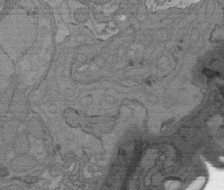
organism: C. elegans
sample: AFD neurons C. elegans